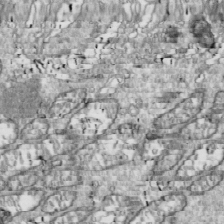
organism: Drosophila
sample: Cell division; meiosis; drosophila spermatocytes